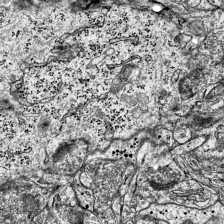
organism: Mouse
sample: Visual Cortex